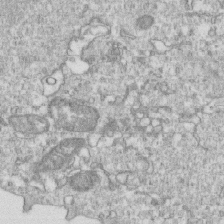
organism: Mouse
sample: Activated OT-1 CD8+ T cells